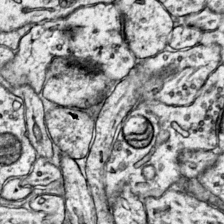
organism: Mouse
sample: Primary visual cortex